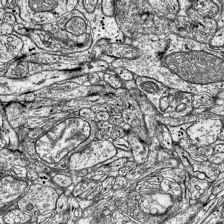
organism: Mouse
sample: Visual Cortex